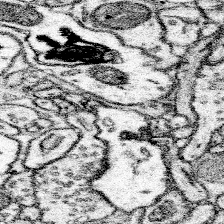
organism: Mouse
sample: Somatosensory cortex neuropil